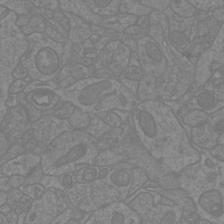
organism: Mouse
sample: Cortical neurons